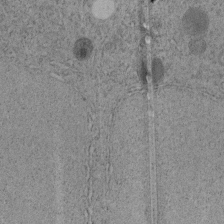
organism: C. elegans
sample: C. elegans embryo early stage